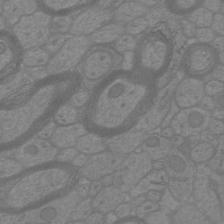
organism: Mouse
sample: Cortical neurons